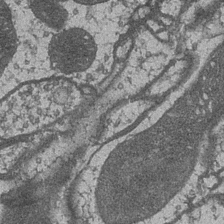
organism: Drosophila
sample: Optic medulla